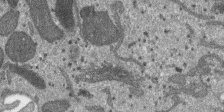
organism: Human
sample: Lung epithelial cells infected with SARS-CoV-2